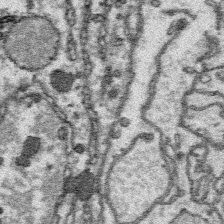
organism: Platynereis dumerilii